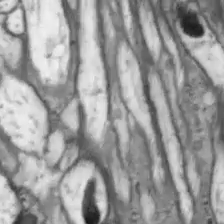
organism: Drosophila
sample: Optic lobe